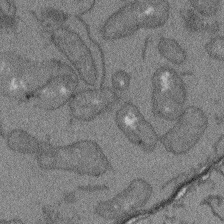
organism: Arabidopsis thaliana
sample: Root tip